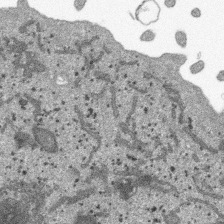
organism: Human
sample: Lung epithelial cells infected with SARS-CoV-2